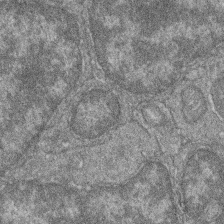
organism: Zebrafish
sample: Cilia; retinal pigment epithelium